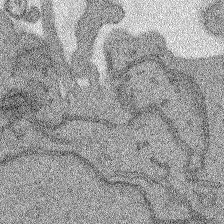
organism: Human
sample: HeLa cells